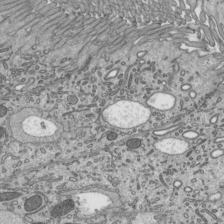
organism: Mouse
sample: Mouse epididymis efferent ductule cilia